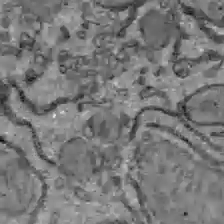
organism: C57BL Mouse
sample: Liver